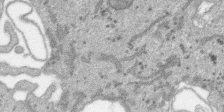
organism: Human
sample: Lung epithelial cells infected with SARS-CoV-2